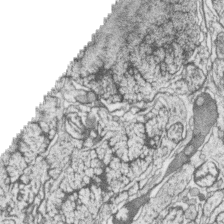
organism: Zebrafish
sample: synaptic ribbons in rod cells and cone cells